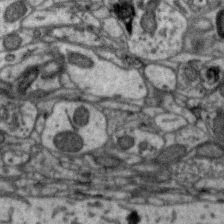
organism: Zebra finch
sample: Brain